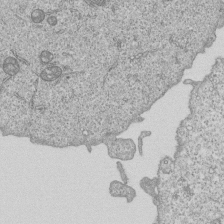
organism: Human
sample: MDA-MB-231 cells